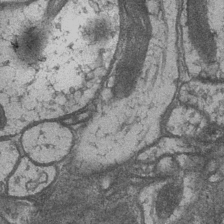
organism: Drosophila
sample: Optic medulla